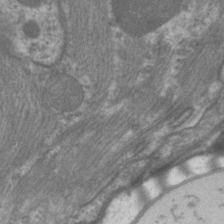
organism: C. elegans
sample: Pharynx